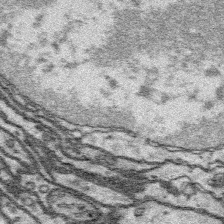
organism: Platynereis dumerilii